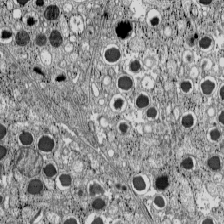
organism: C57BL Mouse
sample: Pancreatic islet